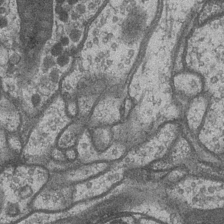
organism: Drosophila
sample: Optic medulla